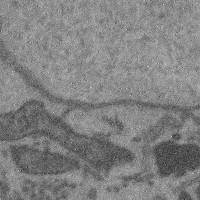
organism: Mouse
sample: Cerebral cortex